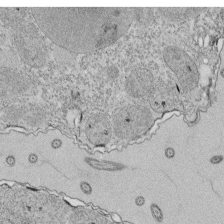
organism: Tetrahymena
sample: Cilia in tetrahymena